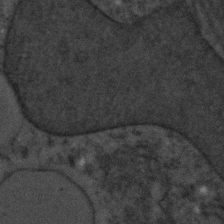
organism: C. elegans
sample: C. elegans embryo